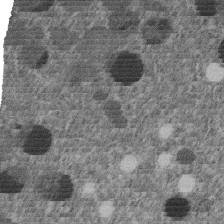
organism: C. elegans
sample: C. elegans embryo early stage